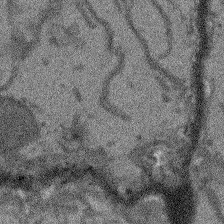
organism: Arabidopsis thaliana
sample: Root tip